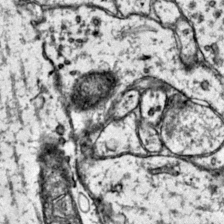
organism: Mouse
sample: Primary visual cortex